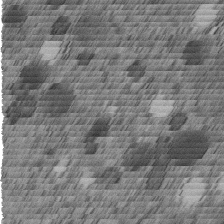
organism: C. elegans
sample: C. elegans embryo early stage